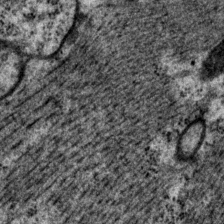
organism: P. pacificus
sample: Pharynx